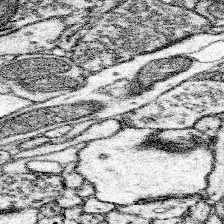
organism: Mouse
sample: Somatosensory cortex neuropil